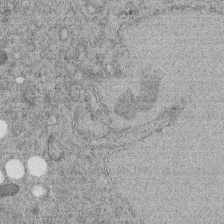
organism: C. elegans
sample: C. elegans embryo early stage